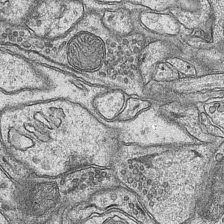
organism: Mouse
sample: CA1 Hippocampus